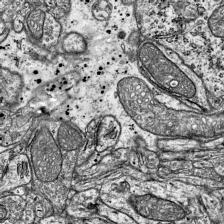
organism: Mouse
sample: Visual Cortex